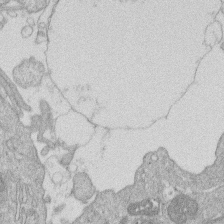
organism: Human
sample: Macrophage cells